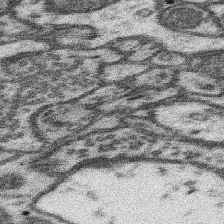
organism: Mouse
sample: Somatosensory cortex neuropil